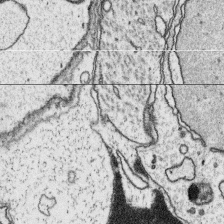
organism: Platynereis dumerilii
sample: Parapodia